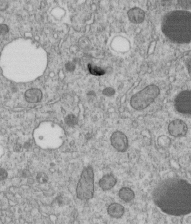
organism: C. elegans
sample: C. elegans embryo early stage